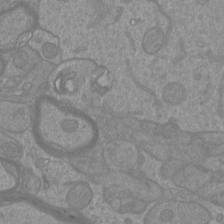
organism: Mouse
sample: Cortical neurons